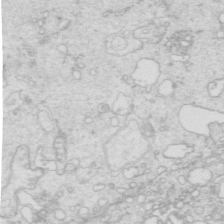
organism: Mouse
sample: Multiciliated cells